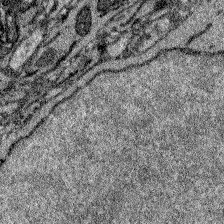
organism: Zebrafish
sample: Larval olfactory bulb